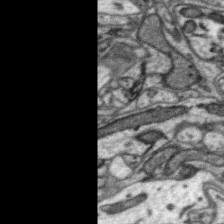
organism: Zebra finch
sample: Brain